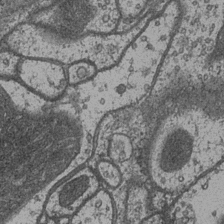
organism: Drosophila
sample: Optic medulla